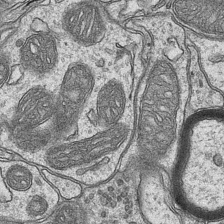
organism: Mouse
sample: CA1 Hippocampus